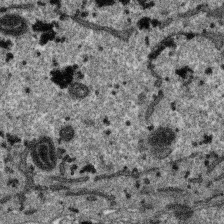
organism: Human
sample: Lung epithelial cells infected with SARS-CoV-2